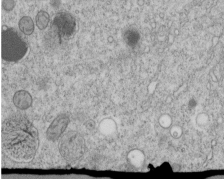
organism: C. elegans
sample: C. elegans embryo early stage